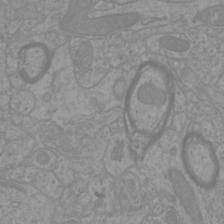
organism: Mouse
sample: Cortical neurons